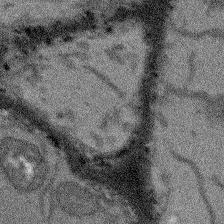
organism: Arabidopsis thaliana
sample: Root tip